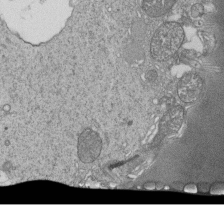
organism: Tetrahymena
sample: Cilia in tetrahymena